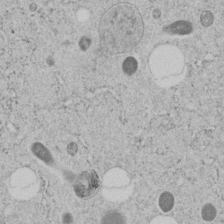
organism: C. elegans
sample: C. elegans embryo early stage